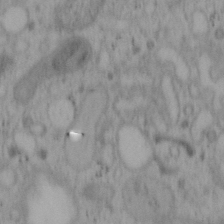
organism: Mouse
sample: OT-I killer T cells with ID8 ovarian cancer cells